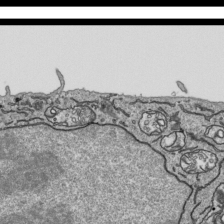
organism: Human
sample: Mitochondria in HCT116 cells